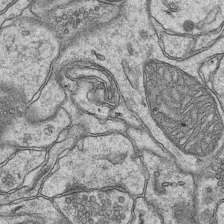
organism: Mouse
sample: CA1 Hippocampus